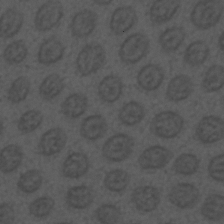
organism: C. elegans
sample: C. elegans embryo